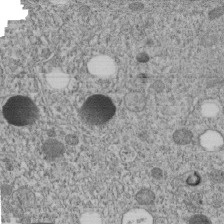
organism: C. elegans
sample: C. elegans embryo early stage